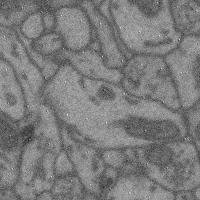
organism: Mouse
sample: Cerebral cortex